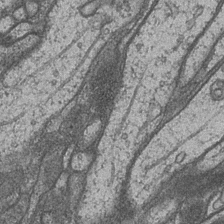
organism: Drosophila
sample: Optic medulla